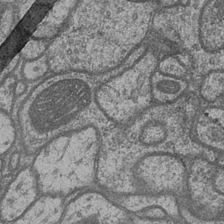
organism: Drosophila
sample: Optic medulla